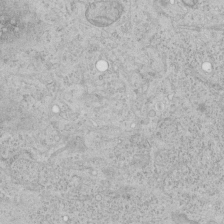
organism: Human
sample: Mitochondria in HCT116 cells